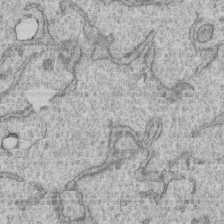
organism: Human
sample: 1205lu cells